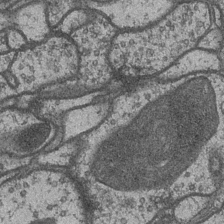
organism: Drosophila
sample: Optic medulla